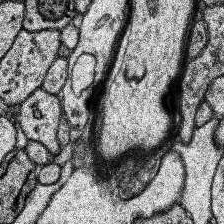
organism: Human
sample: Temporal Lobe